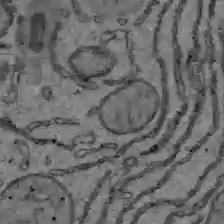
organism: C57BL Mouse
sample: Liver